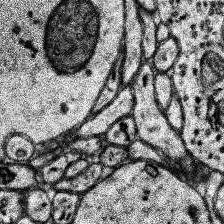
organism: Human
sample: Temporal Lobe